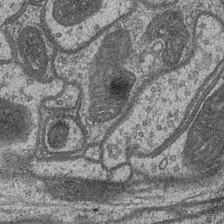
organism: Drosophila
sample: Optic medulla